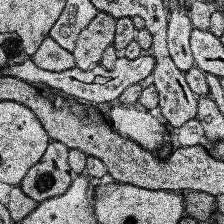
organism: Human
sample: Temporal Lobe